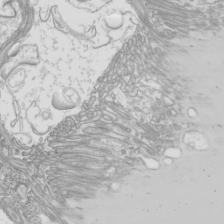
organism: Mouse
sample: Cilia; mouse epididymis